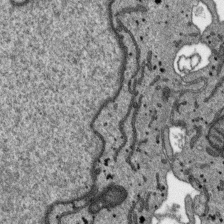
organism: Human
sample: Lung epithelial cells, uninfected (mock) control